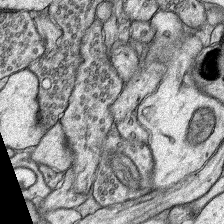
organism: Rat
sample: Hippocampus